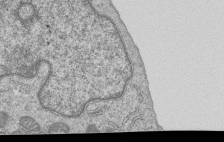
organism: Human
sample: MDA-MB-231 cells